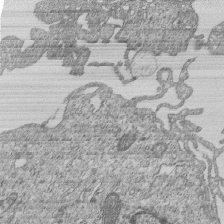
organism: Human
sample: MDA-MB-231 cells